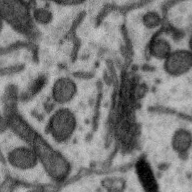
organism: Zebra finch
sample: Brain